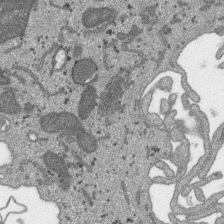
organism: Human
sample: Lung epithelial cells infected with SARS-CoV-2